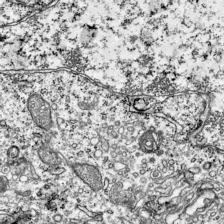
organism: Mouse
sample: Visual Cortex